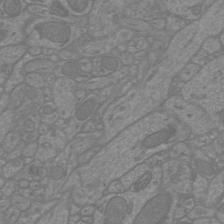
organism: Mouse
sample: Cortical neurons